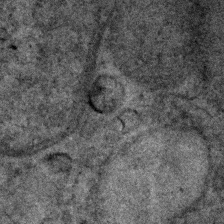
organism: Human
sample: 1205lu cells